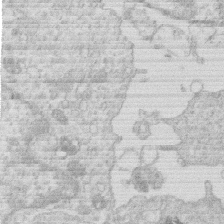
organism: Human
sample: Macrophage cells